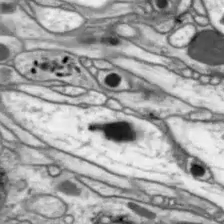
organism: Drosophila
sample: Optic lobe